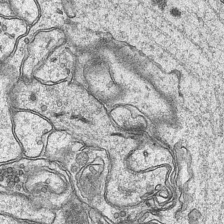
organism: Mouse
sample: CA1 Hippocampus